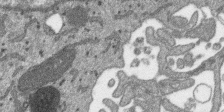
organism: Human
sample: Lung epithelial cells infected with SARS-CoV-2